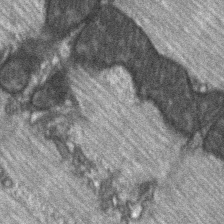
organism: C57BL Mouse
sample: Soleus